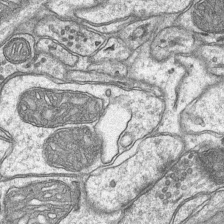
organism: Mouse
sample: CA1 Hippocampus